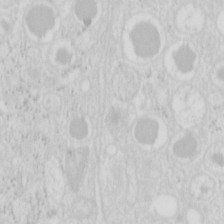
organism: Mouse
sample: Pancreas